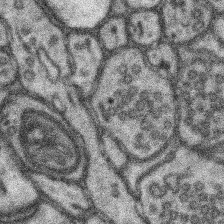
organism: Mouse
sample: Somatosensory cortex neuropil